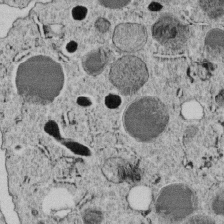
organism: C. elegans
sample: C. elegans embryo early stage